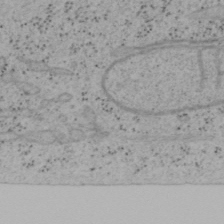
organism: Human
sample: HeLa cells